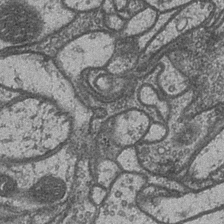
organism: Drosophila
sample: Optic medulla